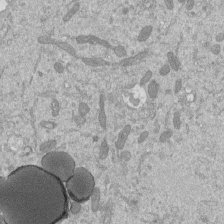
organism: Mouse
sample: ED-1 cell nuclei; centrioles